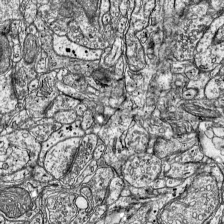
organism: Mouse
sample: Visual Cortex